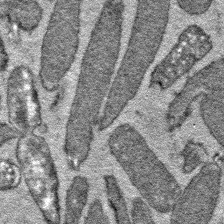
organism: E. coli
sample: E. Coli Bacteria